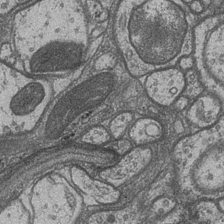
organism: Drosophila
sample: Optic medulla